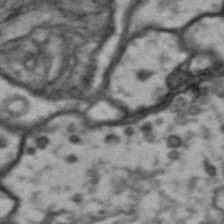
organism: Drosophila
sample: Brain